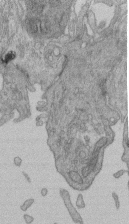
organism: Human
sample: Retinal organoid Rod and Cone cells